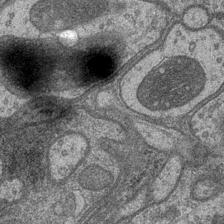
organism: Drosophila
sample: Optic medulla